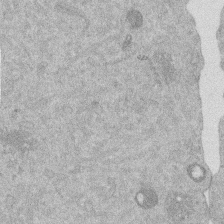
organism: Mouse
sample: Dividing mouse embryo 1 cell stage